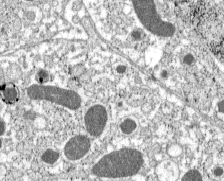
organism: C57BL Mouse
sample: Pancreatic islet